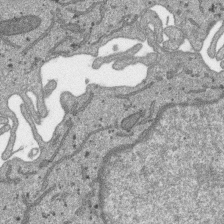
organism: Human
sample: Lung epithelial cells infected with SARS-CoV-2